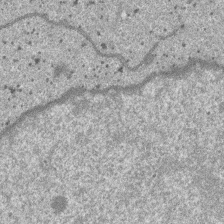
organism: Human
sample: Lung epithelial cells infected with SARS-CoV-2